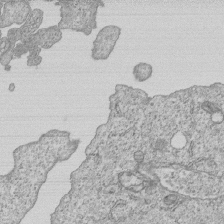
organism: Human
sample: MDA-MB-231 cells